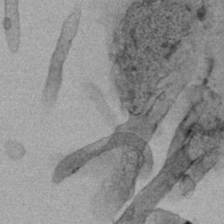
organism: Human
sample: Mitochondria in HCT116 cells